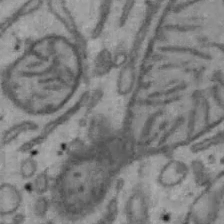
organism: Mouse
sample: Liver